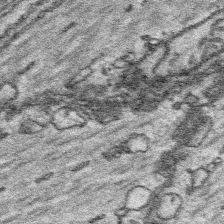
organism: Platynereis dumerilii